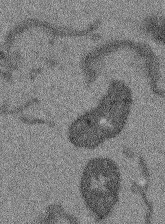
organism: Arabidopsis thaliana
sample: Root tip